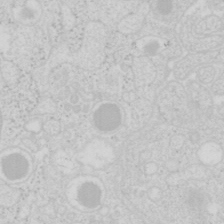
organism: Mouse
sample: Pancreas